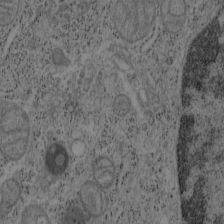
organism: Mouse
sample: OT-I killer T cells with ID8 ovarian cancer cells